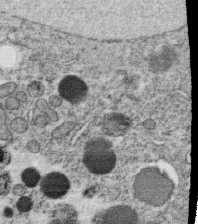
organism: C. elegans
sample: C. elegans oocyte; sperm cells